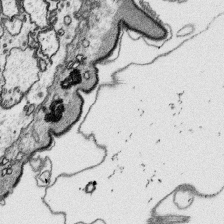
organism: Platynereis dumerilii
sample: Parapodia